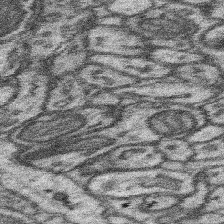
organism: Mouse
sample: Somatosensory cortex neuropil